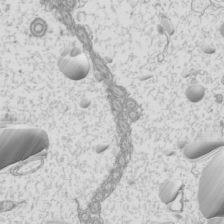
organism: Mouse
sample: Cilia; mouse epididymis